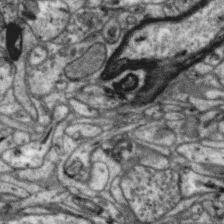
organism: Zebra finch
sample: Brain